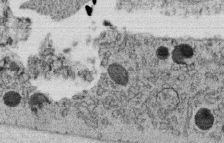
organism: C. elegans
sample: C. elegans oocyte; sperm cells